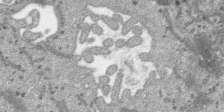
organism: Human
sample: Lung epithelial cells infected with SARS-CoV-2